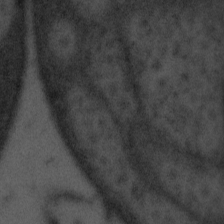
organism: Tuwongella immobilis